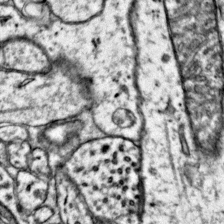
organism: Mouse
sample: Primary visual cortex